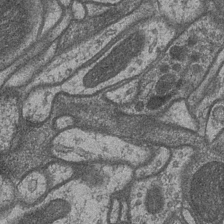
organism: Drosophila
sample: Optic medulla